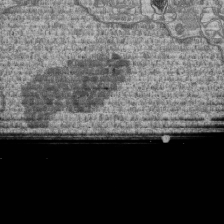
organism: Human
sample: MDA-MB-231 cells